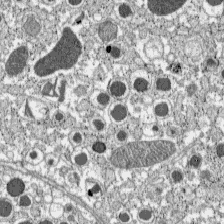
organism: C57BL Mouse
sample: Pancreatic islet